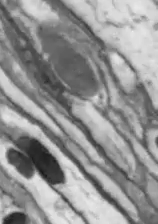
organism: Drosophila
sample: Optic lobe